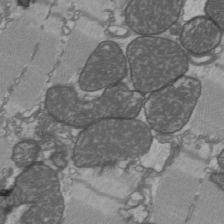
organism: C57BL Mouse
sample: Heart